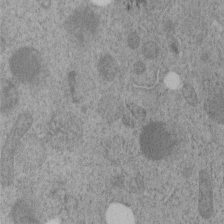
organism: C. elegans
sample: C. elegans embryo early stage